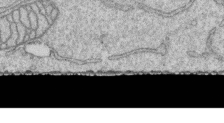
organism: Human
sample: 1205lu cells